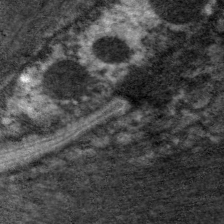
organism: C. elegans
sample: Pharynx